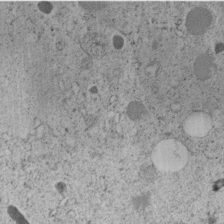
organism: C. elegans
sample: C. elegans embryo early stage